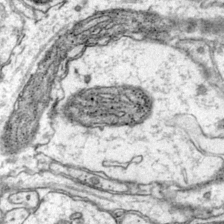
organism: Mouse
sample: Primary visual cortex